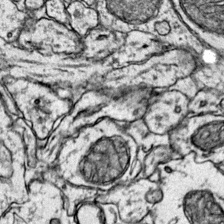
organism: Mouse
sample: Primary visual cortex